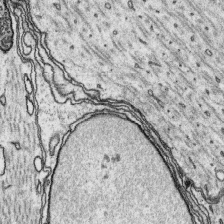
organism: Platynereis dumerilii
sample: Parapodia